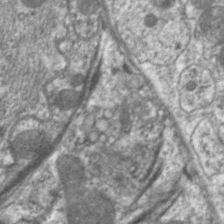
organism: C. elegans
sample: Pharynx